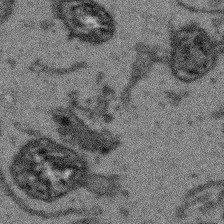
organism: Arabidopsis thaliana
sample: Root tip